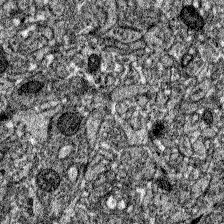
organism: Zebrafish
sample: Larval olfactory bulb